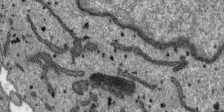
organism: Human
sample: Lung epithelial cells, uninfected (mock) control